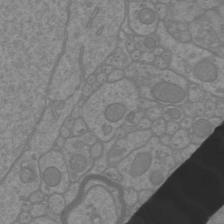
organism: Mouse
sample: Cortical neurons